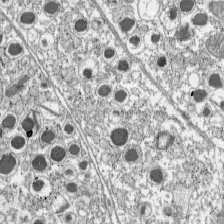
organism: C57BL Mouse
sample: Pancreatic islet